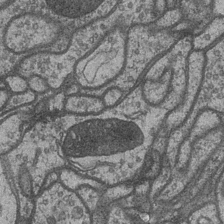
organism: Drosophila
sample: Optic medulla